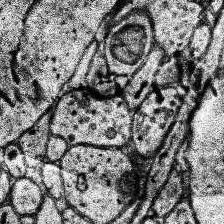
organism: Human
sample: Temporal Lobe